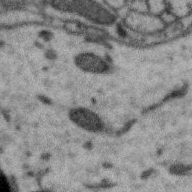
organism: Zebra finch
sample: Brain